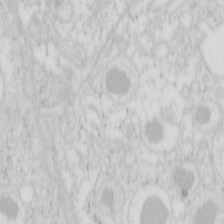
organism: Mouse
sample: Pancreas